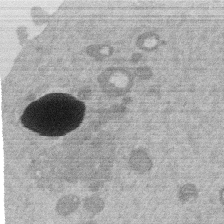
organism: Mouse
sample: Dividing mouse embryo 1 cell stage